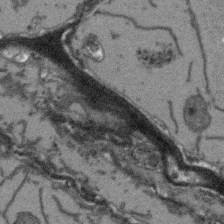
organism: Arabidopsis thaliana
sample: Root tip